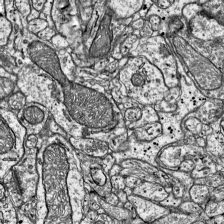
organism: Mouse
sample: Visual Cortex